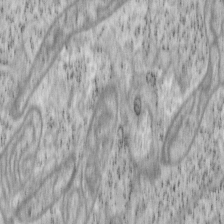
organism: Human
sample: HeLa cells